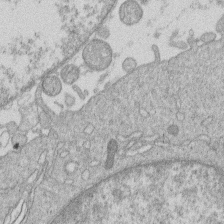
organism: Human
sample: Macrophage cells